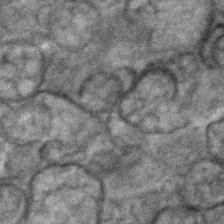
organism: C. elegans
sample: C. elegans embryo